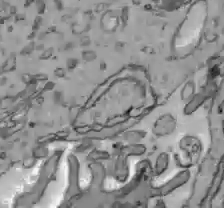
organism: C57BL Mouse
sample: Liver